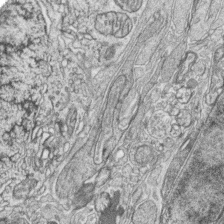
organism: Zebrafish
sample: synaptic ribbons in rod cells and cone cells